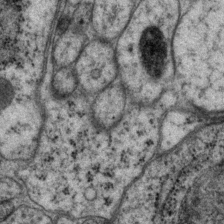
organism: P. pacificus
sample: Pharynx